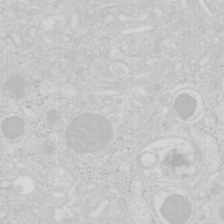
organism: Mouse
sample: Pancreas